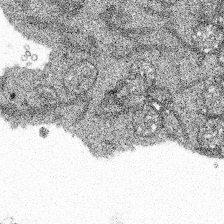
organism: Spongilla lacustris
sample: Multiple